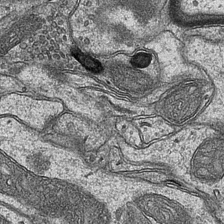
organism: Mouse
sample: CA1 Hippocampus